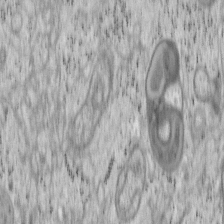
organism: Human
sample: HeLa cells